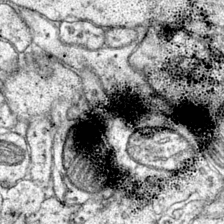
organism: Mouse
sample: Primary visual cortex